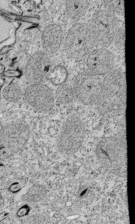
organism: Tetrahymena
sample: Cilia in tetrahymena